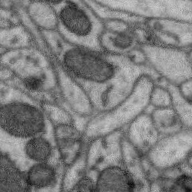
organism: Zebra finch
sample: Brain